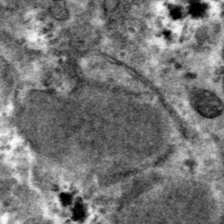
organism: Mouse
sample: Mouse hepatocytes